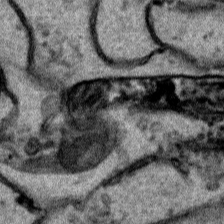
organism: Human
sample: Mitochondria in HCT116 cells